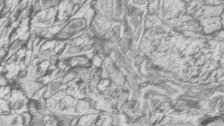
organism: Zebrafish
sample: synaptic ribbons in rod cells and cone cells